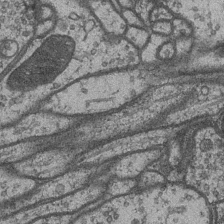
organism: Drosophila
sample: Optic medulla